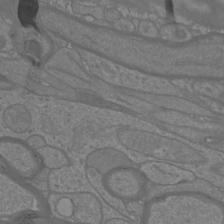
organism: Mouse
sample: Cortical neurons